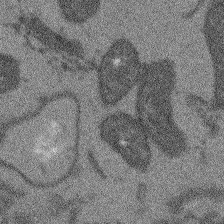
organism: Arabidopsis thaliana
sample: Root tip